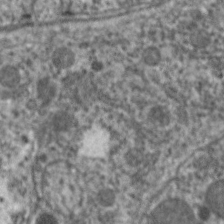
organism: C. elegans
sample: Pharynx